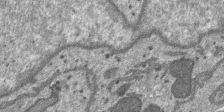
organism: Human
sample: Lung epithelial cells infected with SARS-CoV-2